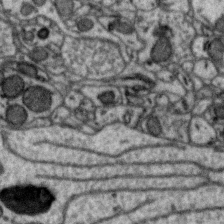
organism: Zebra finch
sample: Brain